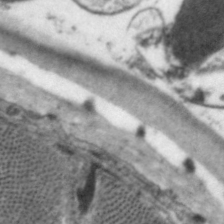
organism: C. elegans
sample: Pharynx